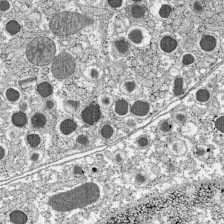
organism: C57BL Mouse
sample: Pancreatic islet